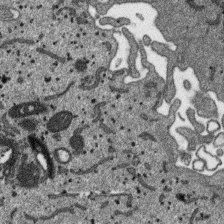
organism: Human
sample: Lung epithelial cells infected with SARS-CoV-2